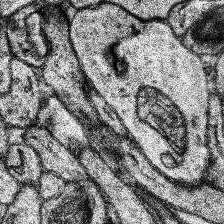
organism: Human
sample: Temporal Lobe